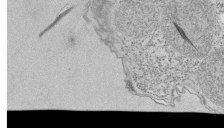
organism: Tetrahymena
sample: Cilia in tetrahymena